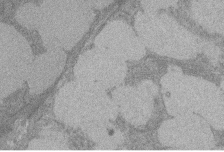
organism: Rat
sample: Salivary granule